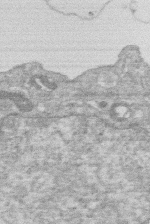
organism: Human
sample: Macrophage cells